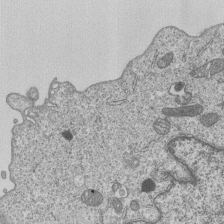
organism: Human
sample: MDA-MB-231 cells